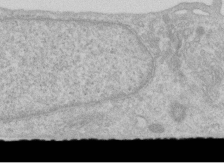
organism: Human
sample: Centriole in RPE cells